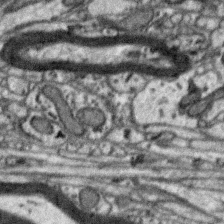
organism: Zebra finch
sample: Brain